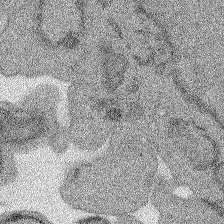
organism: Human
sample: HeLa cells